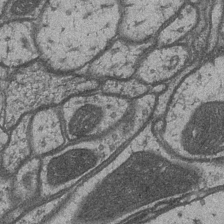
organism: Drosophila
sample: Optic medulla